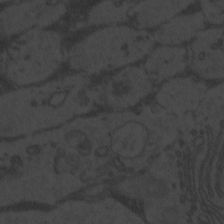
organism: Zebrafish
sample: Macrophage infected with Toxoplasma gondii